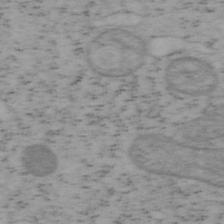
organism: Mouse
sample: OT-I killer T cells with ID8 ovarian cancer cells